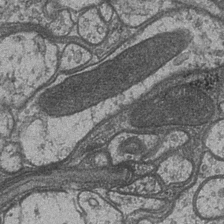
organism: Drosophila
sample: Optic medulla